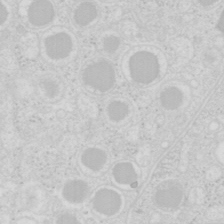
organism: Mouse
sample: Pancreas